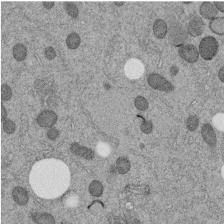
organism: C. elegans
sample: C. elegans embryo early stage